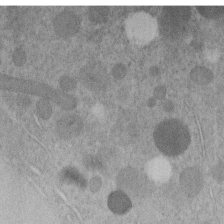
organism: C. elegans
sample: C. elegans embryo early stage